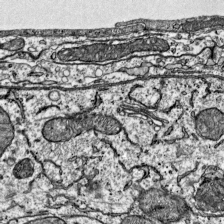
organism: Mouse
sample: Visual Cortex